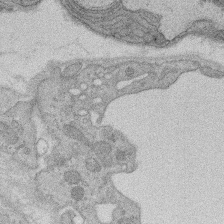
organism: Rat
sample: Salivary granule